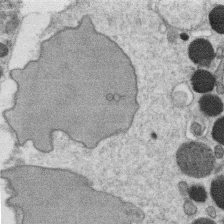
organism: C. elegans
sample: C. elegans oocyte; sperm cells